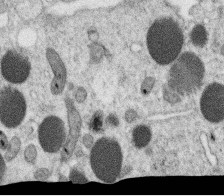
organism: C. elegans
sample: C. elegans oocyte; sperm cells